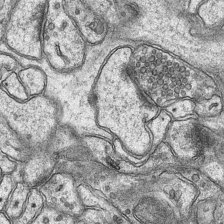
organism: Mouse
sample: CA1 Hippocampus